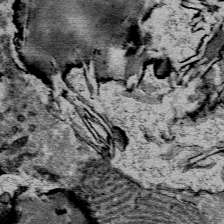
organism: Mouse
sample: Mouse Salivary gland